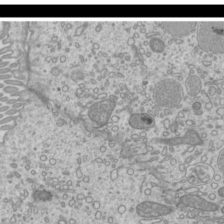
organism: Mouse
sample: Cilia; mouse epididymis